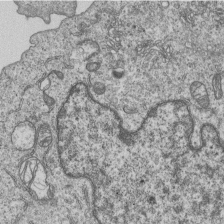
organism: Human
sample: MDA-MB-231 cells